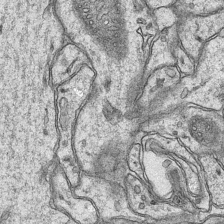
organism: Mouse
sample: CA1 Hippocampus